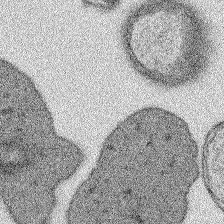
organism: Human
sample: HeLa cells